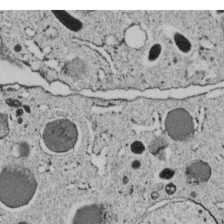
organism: C. elegans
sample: C. elegans embryo early stage